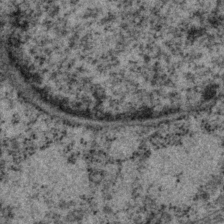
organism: P. pacificus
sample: Pharynx